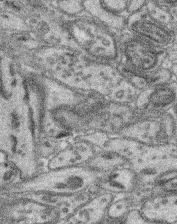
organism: Mouse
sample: Retina